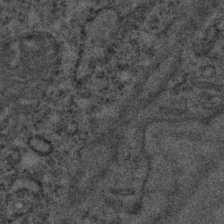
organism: C. elegans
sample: C. elegans embryo